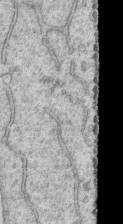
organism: Human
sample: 1205lu cells